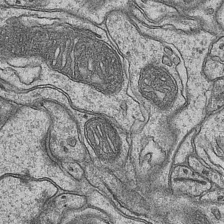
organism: Mouse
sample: CA1 Hippocampus